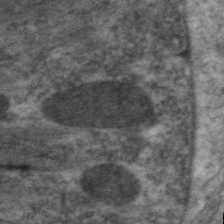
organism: C. elegans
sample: Pharynx